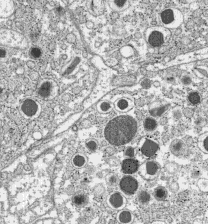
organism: C57BL Mouse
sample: Pancreatic islet